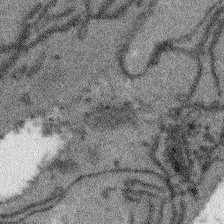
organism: Arabidopsis thaliana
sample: Root tip